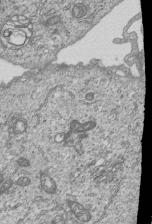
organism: Human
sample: MDA-MB-231 cells